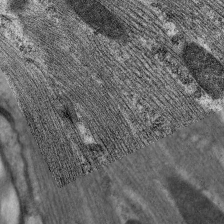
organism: C. elegans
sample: Pharynx